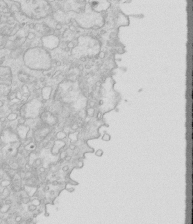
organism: Mouse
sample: Multiciliated cells